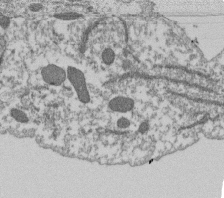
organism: Dictyostelium discoideum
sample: Dictyostelium multivesicular bodies